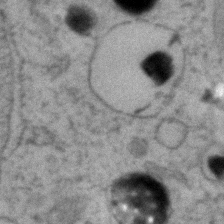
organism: Zebrafish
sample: Zebrafish embryo